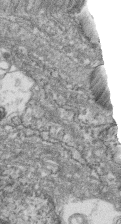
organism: Zebrafish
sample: Cilia; retinal pigment epithelium